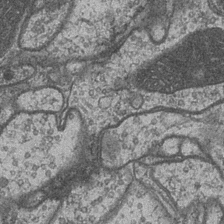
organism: Drosophila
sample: Optic medulla